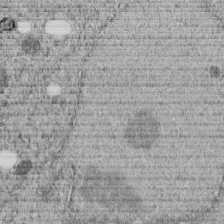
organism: C. elegans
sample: C. elegans embryo early stage